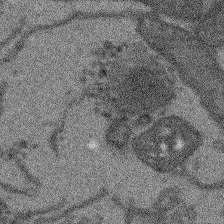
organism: Arabidopsis thaliana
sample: Root tip